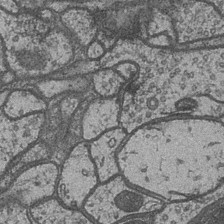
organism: Drosophila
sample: Optic medulla